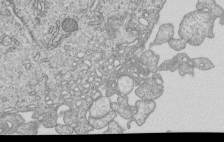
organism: Human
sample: MDA-MB-231 cells